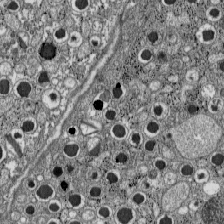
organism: C57BL Mouse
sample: Pancreatic islet